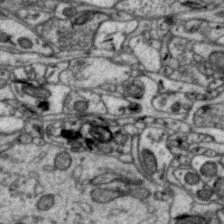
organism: Zebra finch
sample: Brain